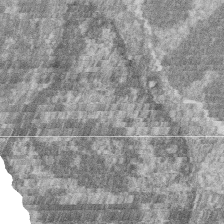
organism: Zebrafish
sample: Cilia; retinal pigment epithelium